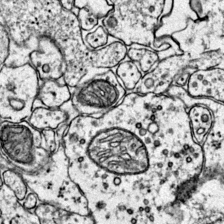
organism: Mouse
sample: Primary visual cortex